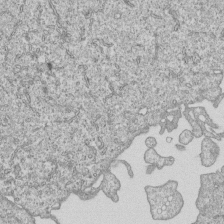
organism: Human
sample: MDA-MB-231 cells